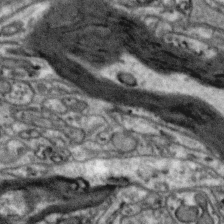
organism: Zebra finch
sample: Brain